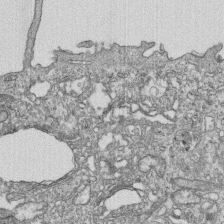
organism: Human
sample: HeLa cell HIV synapse